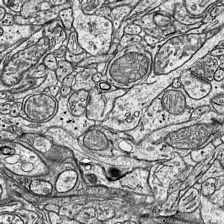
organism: Mouse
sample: Visual Cortex